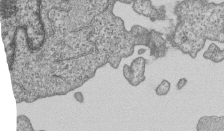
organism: Human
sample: MDA-MB-231 cells